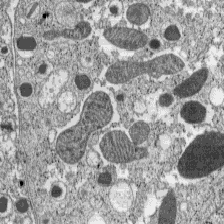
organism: C57BL Mouse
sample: Pancreatic islet